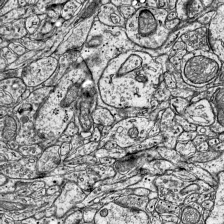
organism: Mouse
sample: Visual Cortex